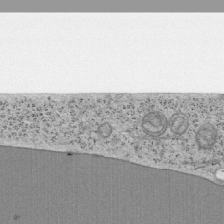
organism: Human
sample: HeLa cells